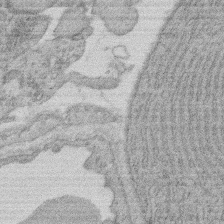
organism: Rat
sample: Salivary granule